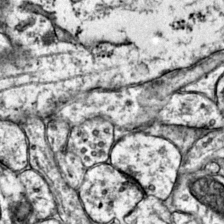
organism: Mouse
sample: Primary visual cortex